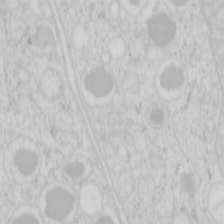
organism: Mouse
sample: Pancreas